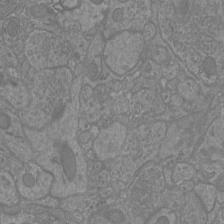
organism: Mouse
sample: Cortical neurons